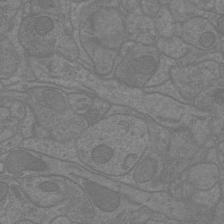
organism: Mouse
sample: Cortical neurons